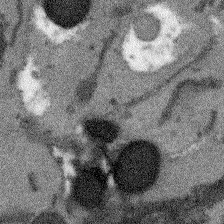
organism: Arabidopsis thaliana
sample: Root tip